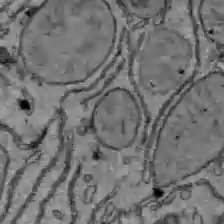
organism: C57BL Mouse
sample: Liver